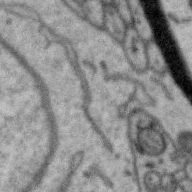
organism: Zebra finch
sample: Brain